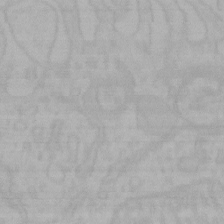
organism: Mouse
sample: Choroid plexus